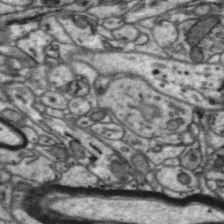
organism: Zebra finch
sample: Brain